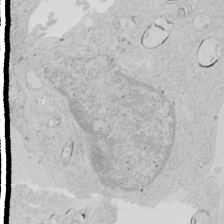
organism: Human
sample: Mitochondria in HCT116 cells